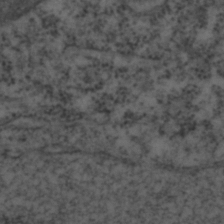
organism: C. elegans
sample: C. elegans embryo